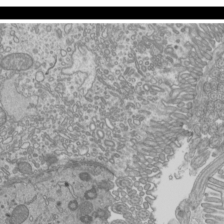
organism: Mouse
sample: Cilia; mouse epididymis